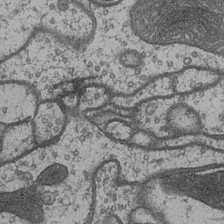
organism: Drosophila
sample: Optic medulla